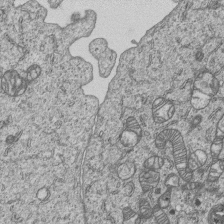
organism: Human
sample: MDA-MB-231 cells